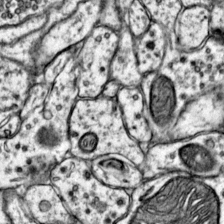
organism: Mouse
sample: Primary visual cortex